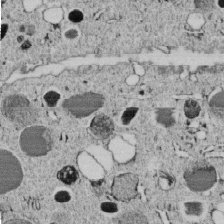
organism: C. elegans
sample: C. elegans embryo early stage